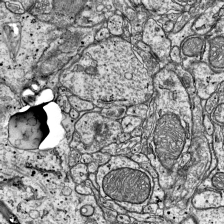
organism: Mouse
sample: Visual Cortex